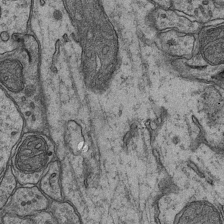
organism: Mouse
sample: CA1 Hippocampus